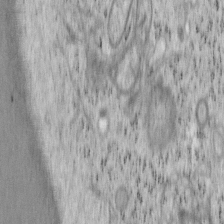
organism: Human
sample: HeLa cells